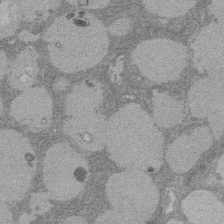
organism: Rat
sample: Salivary granule